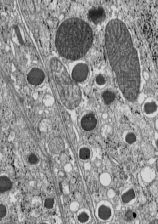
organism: C57BL Mouse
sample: Pancreatic islet